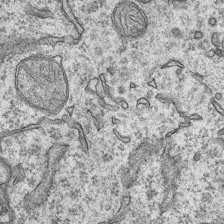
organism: Mouse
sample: CA1 Hippocampus